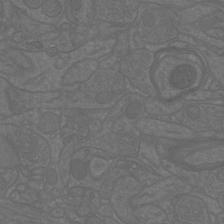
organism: Mouse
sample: Cortical neurons